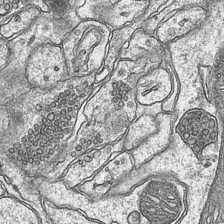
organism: Mouse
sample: CA1 Hippocampus